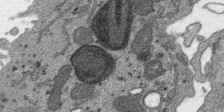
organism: Human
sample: Lung epithelial cells infected with SARS-CoV-2